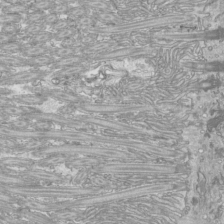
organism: Mouse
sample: Cilia; mouse epididymis